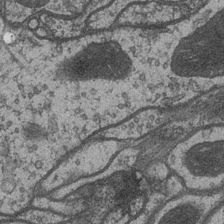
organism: Drosophila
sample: Optic medulla